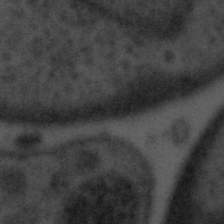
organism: Tuwongella immobilis